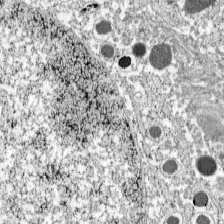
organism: C57BL Mouse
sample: Pancreatic islet